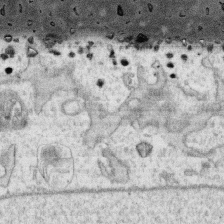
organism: Human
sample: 1205lu cells